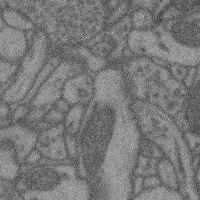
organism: Mouse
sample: Cerebral cortex